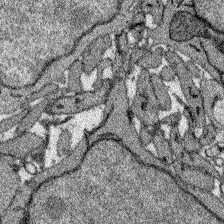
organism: Zebrafish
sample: Larval olfactory bulb